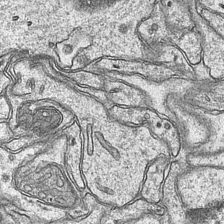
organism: Mouse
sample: CA1 Hippocampus